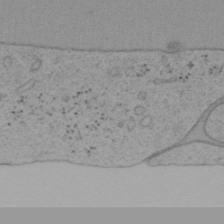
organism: Human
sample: HeLa cells